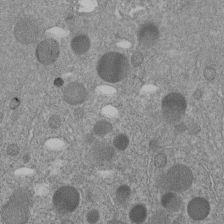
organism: C. elegans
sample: C. elegans embryo early stage